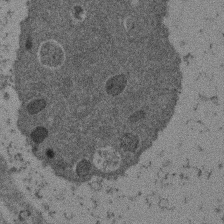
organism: Mouse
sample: Dividing mouse embryo 1 cell stage